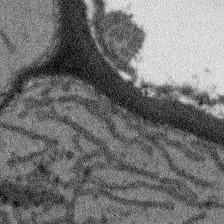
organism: Arabidopsis thaliana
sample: Root tip